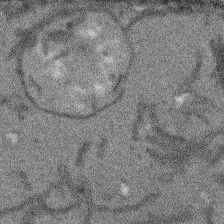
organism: Arabidopsis thaliana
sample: Root tip